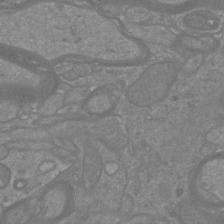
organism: Mouse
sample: Cortical neurons